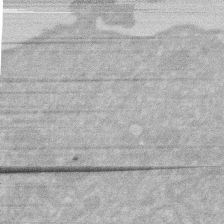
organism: Human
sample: HIV infected U937 cells